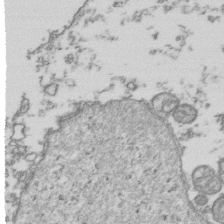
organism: Human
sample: Activated Jurkat CD4+ T cells